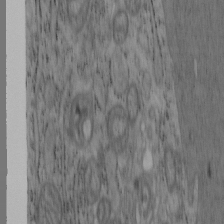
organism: Human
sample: HeLa cells